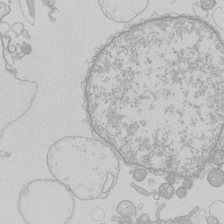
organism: Human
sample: Macrophage cells